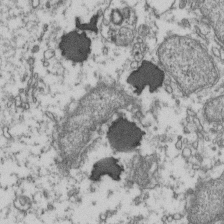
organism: Human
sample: Activated Jurkat CD4+ T cells